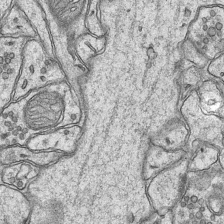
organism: Mouse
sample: CA1 Hippocampus